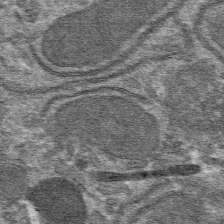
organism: Mouse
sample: Mouse hepatocytes